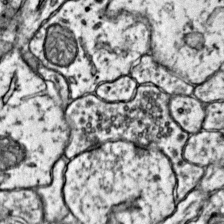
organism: Mouse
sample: Primary visual cortex